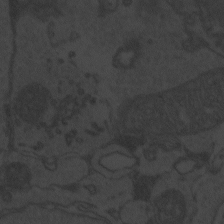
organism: Zebrafish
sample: Macrophage infected with Toxoplasma gondii